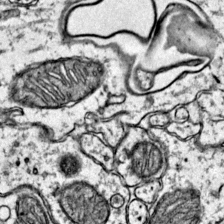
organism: Mouse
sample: Primary visual cortex